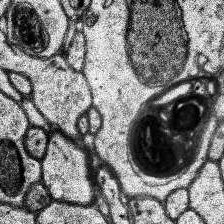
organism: Human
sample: Temporal Lobe